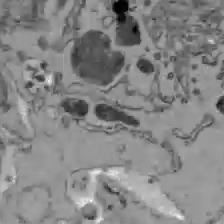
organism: C57BL Mouse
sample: Liver